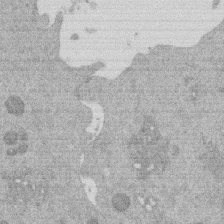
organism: Mouse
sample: Dividing mouse embryo 1 cell stage